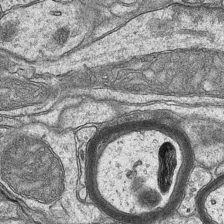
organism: Mouse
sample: CA1 Hippocampus